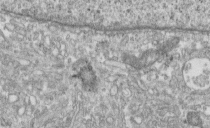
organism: Human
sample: Centriole in fibroblast cells